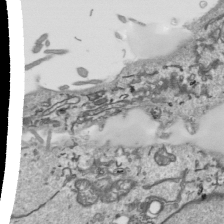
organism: Human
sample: Mitochondria in HCT116 cells